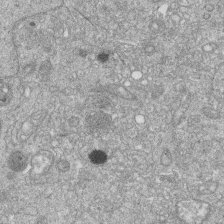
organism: Human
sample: HeLa cell HIV synapse